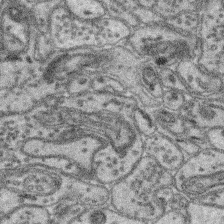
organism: Mouse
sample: Retina